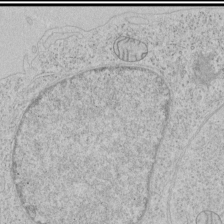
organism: Human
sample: Mitochondria in HCT116 cells